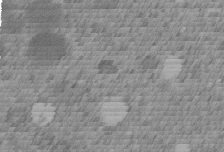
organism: C. elegans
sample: C. elegans embryo early stage